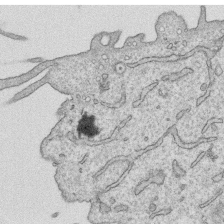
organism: Human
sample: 1205lu cells